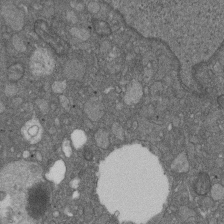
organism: Drosophila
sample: Nephrocyte